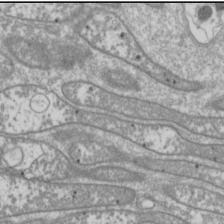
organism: Drosophila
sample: Cell division; meiosis; drosophila spermatocytes